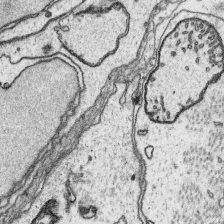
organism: Platynereis dumerilii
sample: Parapodia